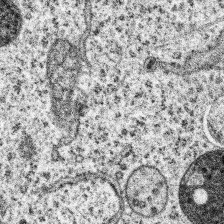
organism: Human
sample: HeLa cells